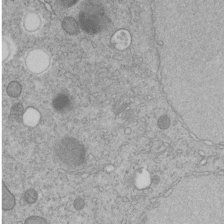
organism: C. elegans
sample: C. elegans embryo early stage